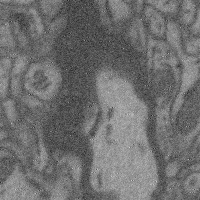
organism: Mouse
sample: Cerebral cortex